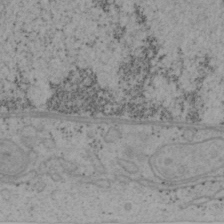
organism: Human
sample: HeLa cells